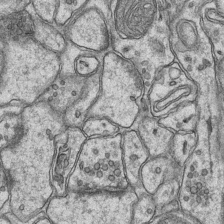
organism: Mouse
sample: CA1 Hippocampus